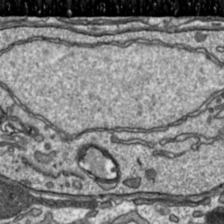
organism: Toxoplasma gondii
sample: Parasites in a vacuole inside a host cell